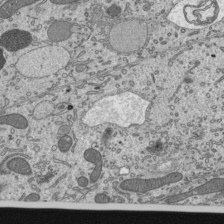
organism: Mouse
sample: Mouse epididymis efferent ductule cilia